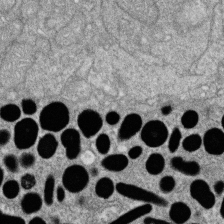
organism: Zebrafish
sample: Cilia; retinal pigment epithelium